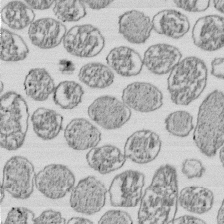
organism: E. coli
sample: Bacterial nucleoid